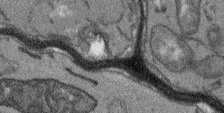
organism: Arabidopsis thaliana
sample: Root tip